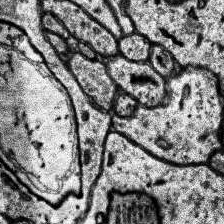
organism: Human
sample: Temporal Lobe